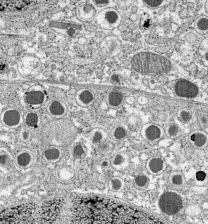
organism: C57BL Mouse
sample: Pancreatic islet